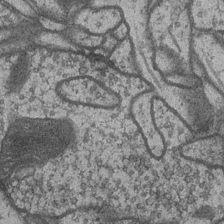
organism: Drosophila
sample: Optic medulla